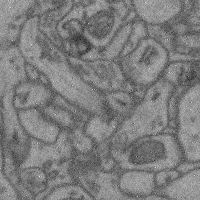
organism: Mouse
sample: Cerebral cortex